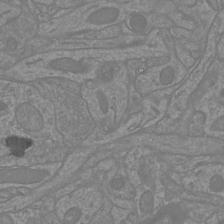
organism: Mouse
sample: Cortical neurons